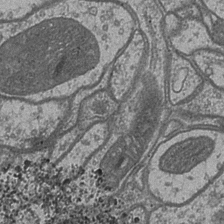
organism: Drosophila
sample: Optic medulla